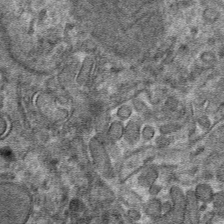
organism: Mouse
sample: Mouse hepatocytes